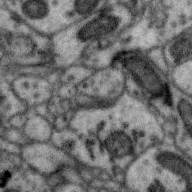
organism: Zebra finch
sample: Brain